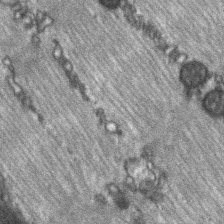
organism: C57BL Mouse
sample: Soleus